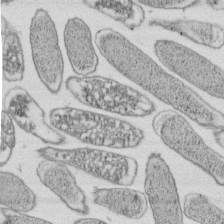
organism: E. coli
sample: Bacterial nucleoid